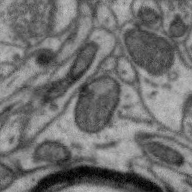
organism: Zebra finch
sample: Brain